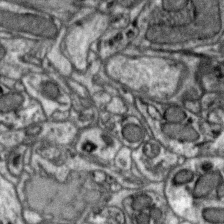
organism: Zebra finch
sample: Brain